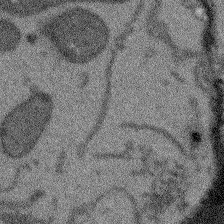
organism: Arabidopsis thaliana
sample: Root tip